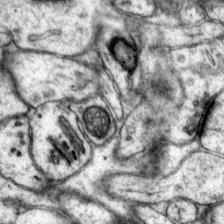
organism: Mouse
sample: Primary visual cortex